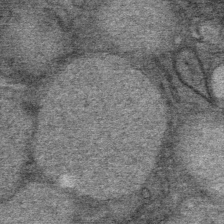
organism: Mouse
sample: Mouse Salivary gland